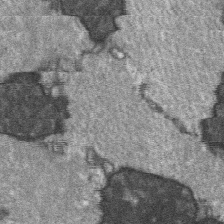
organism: C57BL Mouse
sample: Soleus